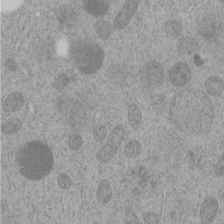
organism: C. elegans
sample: C. elegans embryo early stage